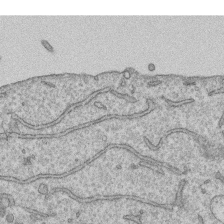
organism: Human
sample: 1205lu cells